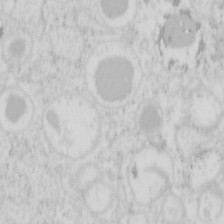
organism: Mouse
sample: Pancreas